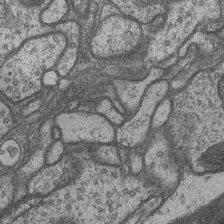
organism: Drosophila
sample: Optic medulla